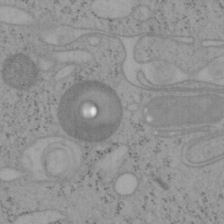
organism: Mouse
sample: OT-I killer T cells with ID8 ovarian cancer cells